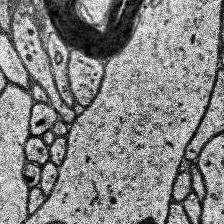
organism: Human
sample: Temporal Lobe